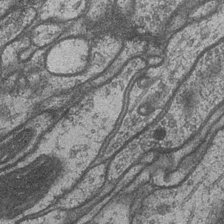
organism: Drosophila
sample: Optic medulla